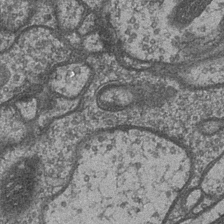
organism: Drosophila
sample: Optic medulla